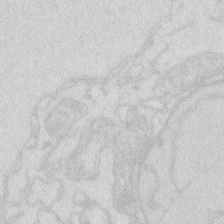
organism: Zebrafish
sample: Macrophage